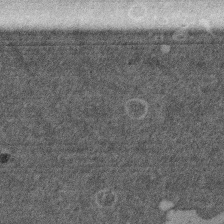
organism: Mouse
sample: Dividing mouse embryo 1 cell stage